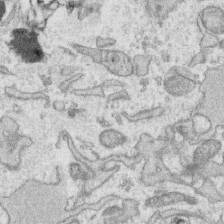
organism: Human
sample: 1205lu cells